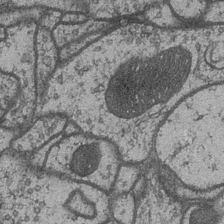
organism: Drosophila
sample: Optic medulla